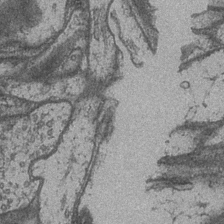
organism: Drosophila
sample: Optic medulla